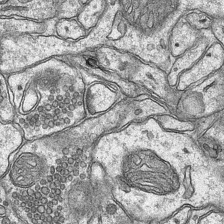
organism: Mouse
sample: CA1 Hippocampus